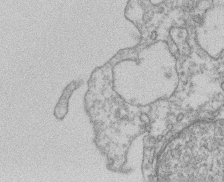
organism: Mouse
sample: T cell stromal cell synapse